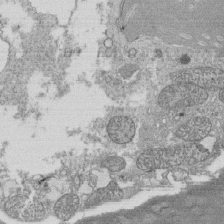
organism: Tetrahymena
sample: Cilia in tetrahymena